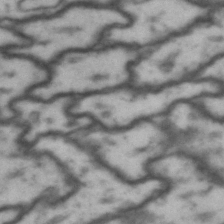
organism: Drosophila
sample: Brain